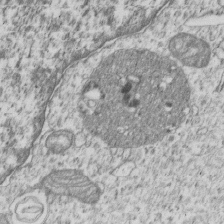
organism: Human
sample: MDA-MB-231 cells